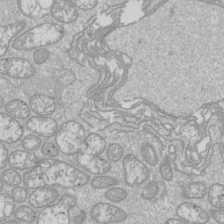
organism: Drosophila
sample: Cell division; meiosis; drosophila spermatocytes